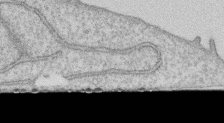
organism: Human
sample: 1205lu cells